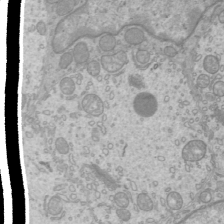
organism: Mouse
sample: Cilia; mouse epididymis